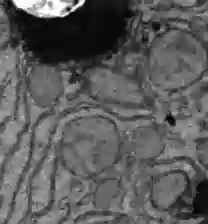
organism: C57BL Mouse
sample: Liver